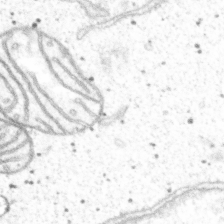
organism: Human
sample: HeLa cells